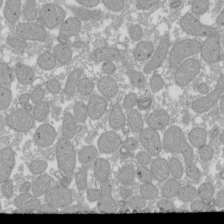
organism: Xenopus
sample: Cilia; centrioles in frog embryo cells